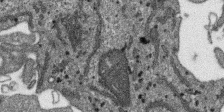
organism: Human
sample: Lung epithelial cells infected with SARS-CoV-2